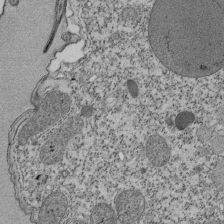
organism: Tetrahymena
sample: Cilia in tetrahymena